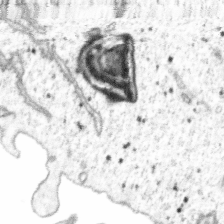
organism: Human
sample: HeLa cells